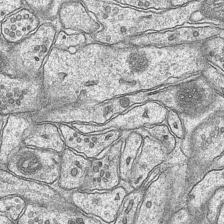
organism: Mouse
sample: CA1 Hippocampus